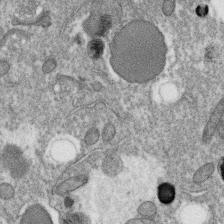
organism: C. elegans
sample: C. elegans oocyte; sperm cells